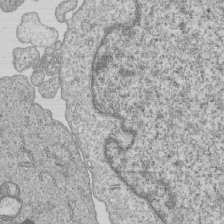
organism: Human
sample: MDA-MB-231 cells